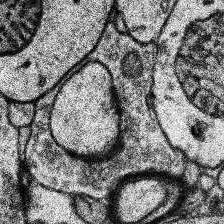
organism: Human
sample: Temporal Lobe